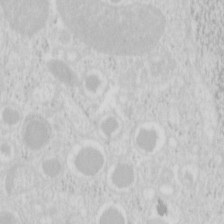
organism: Mouse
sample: Pancreas